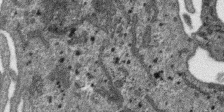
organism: Human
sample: Lung epithelial cells infected with SARS-CoV-2